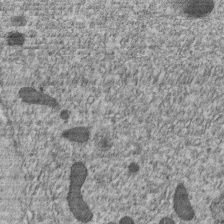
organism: C. elegans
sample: C. elegans embryo early stage